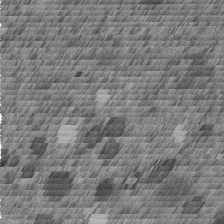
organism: C. elegans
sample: C. elegans embryo early stage